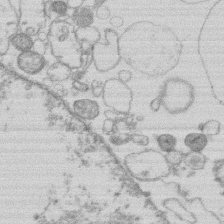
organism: Human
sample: Macrophage cells